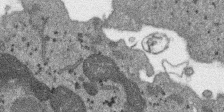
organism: Human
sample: Lung epithelial cells infected with SARS-CoV-2